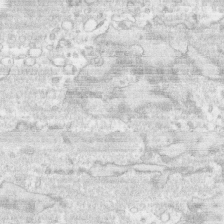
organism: Human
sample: CRL-1474